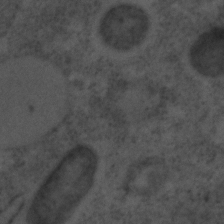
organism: C. elegans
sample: C. elegans embryo